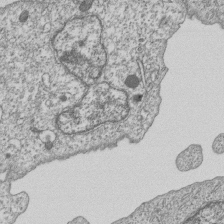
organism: Human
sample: MDA-MB-231 cells